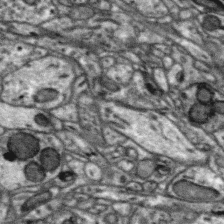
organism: Zebra finch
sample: Brain